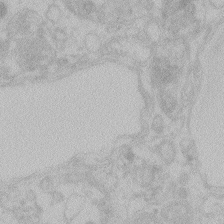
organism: Zebrafish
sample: Macrophage infected with Toxoplasma gondii